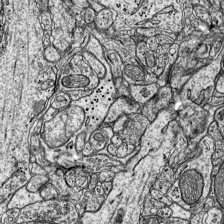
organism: Mouse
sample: Visual Cortex